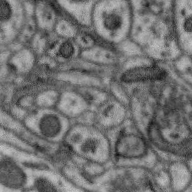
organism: Zebra finch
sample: Brain